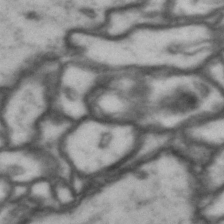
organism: Drosophila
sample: Brain